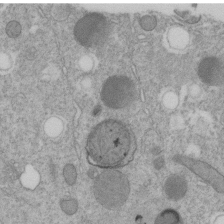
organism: C. elegans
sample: C. elegans embryo early stage